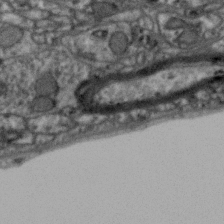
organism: Zebra finch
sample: Brain